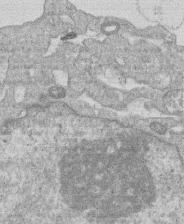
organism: Human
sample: Macrophage cells